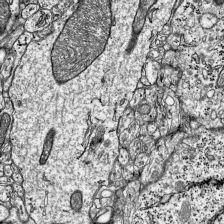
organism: Mouse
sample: Visual Cortex